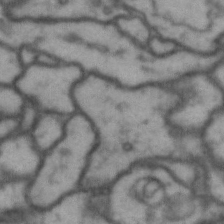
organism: Drosophila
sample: Brain